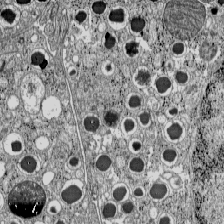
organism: C57BL Mouse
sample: Pancreatic islet